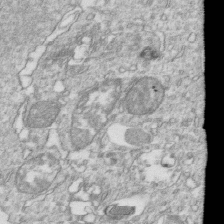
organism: Mouse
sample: Activated OT-1 CD8+ T cells